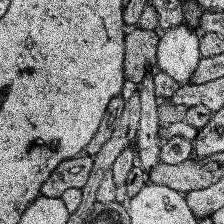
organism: Human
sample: Temporal Lobe